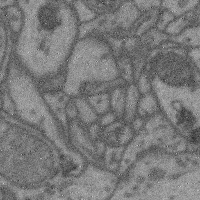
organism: Mouse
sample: Cerebral cortex